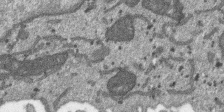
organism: Human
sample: Lung epithelial cells infected with SARS-CoV-2